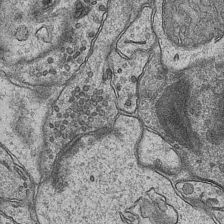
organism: Mouse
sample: CA1 Hippocampus